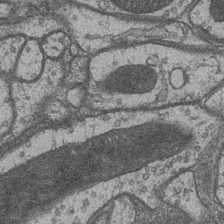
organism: Drosophila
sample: Optic medulla